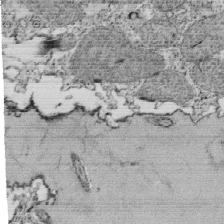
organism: Tetrahymena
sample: Cilia in tetrahymena